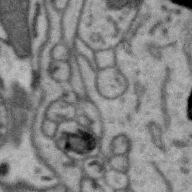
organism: Zebra finch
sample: Brain